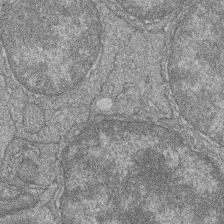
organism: Zebrafish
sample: Cilia; retinal pigment epithelium